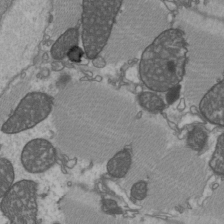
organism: C57BL Mouse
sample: Heart